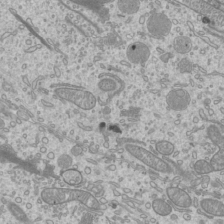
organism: Mouse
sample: Cilia; mouse epididymis